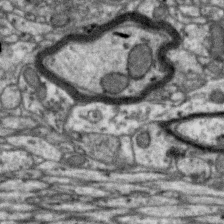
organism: Zebra finch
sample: Brain